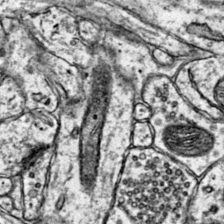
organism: Mouse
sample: Primary visual cortex